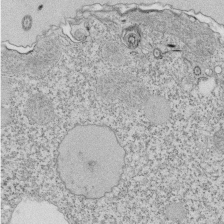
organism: Tetrahymena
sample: Cilia in tetrahymena